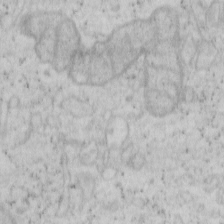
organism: Human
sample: HeLa cells